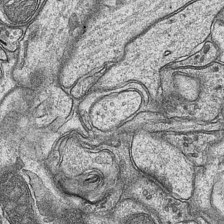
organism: Mouse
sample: CA1 Hippocampus